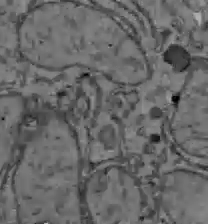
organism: C57BL Mouse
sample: Liver